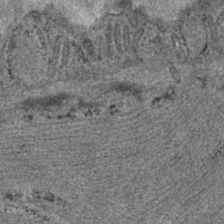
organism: C. elegans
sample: C. elegans embryo